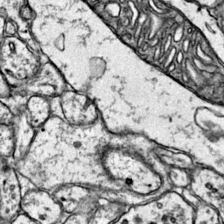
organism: Mouse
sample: Primary visual cortex